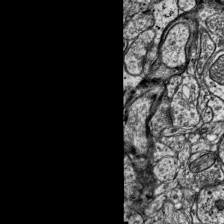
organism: Mouse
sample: Visual Cortex